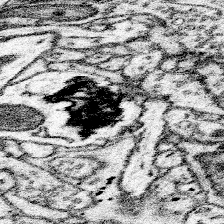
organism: Mouse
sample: Somatosensory cortex neuropil